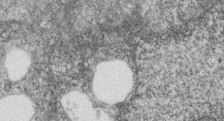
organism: Zebrafish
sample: Cilia; retinal pigment epithelium